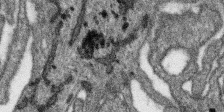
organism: Human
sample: Lung epithelial cells infected with SARS-CoV-2